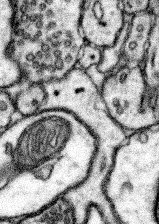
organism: Mouse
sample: Somatosensory cortex neuropil